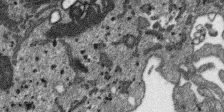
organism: Human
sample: Lung epithelial cells infected with SARS-CoV-2